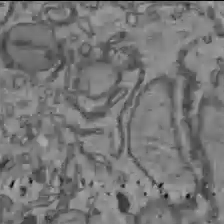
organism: C57BL Mouse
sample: Liver